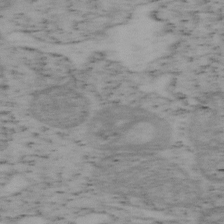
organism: Mouse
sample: OT-I killer T cells with ID8 ovarian cancer cells